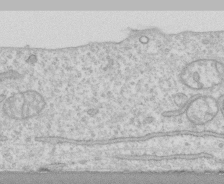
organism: Human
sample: CRL-1474